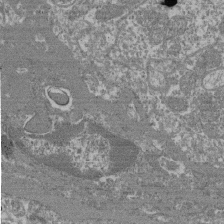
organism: Mouse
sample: Glomerulus